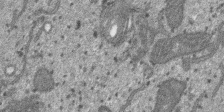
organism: Human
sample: Lung epithelial cells infected with SARS-CoV-2